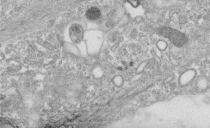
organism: Human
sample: Centriole in fibroblast cells